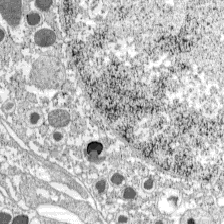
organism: C57BL Mouse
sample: Pancreatic islet